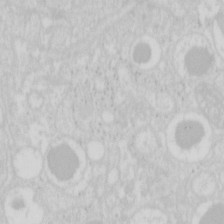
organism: Mouse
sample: Pancreas